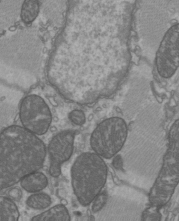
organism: C57BL Mouse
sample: Heart